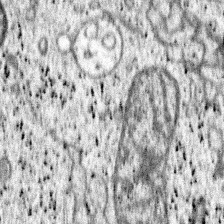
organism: Human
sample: HeLa cells